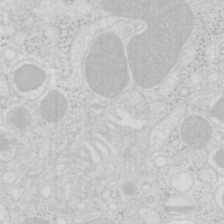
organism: Mouse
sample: Pancreas